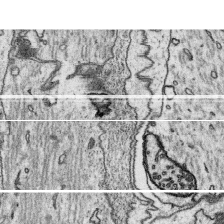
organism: Platynereis dumerilii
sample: Parapodia